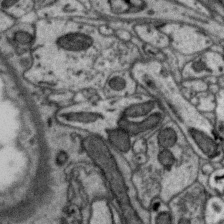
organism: Zebra finch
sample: Brain